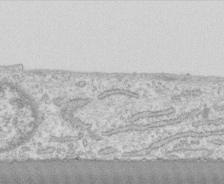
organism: Human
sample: CRL-1474